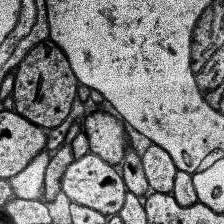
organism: Human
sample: Temporal Lobe